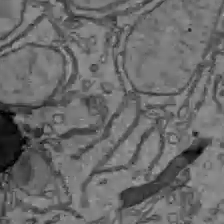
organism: C57BL Mouse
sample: Liver